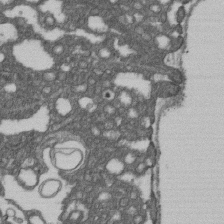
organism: Drosophila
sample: Nephrocyte